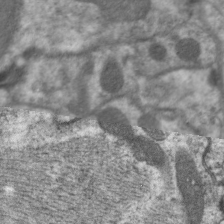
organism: C. elegans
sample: Pharynx